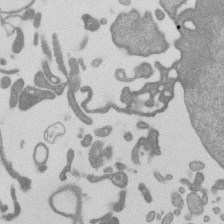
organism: Mouse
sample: Dividing mouse embryo 1 cell stage